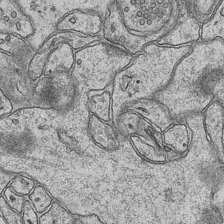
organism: Mouse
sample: CA1 Hippocampus